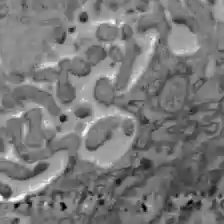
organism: C57BL Mouse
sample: Liver